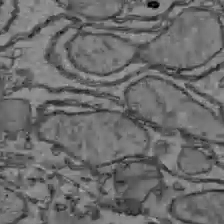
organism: C57BL Mouse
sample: Liver